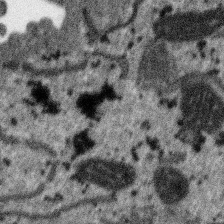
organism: Human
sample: Lung epithelial cells infected with SARS-CoV-2